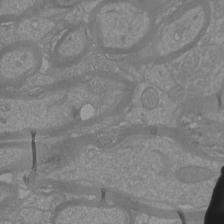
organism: Mouse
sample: Cortical neurons